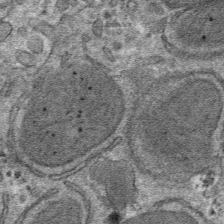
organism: Mouse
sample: Mouse hepatocytes